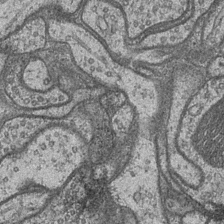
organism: Drosophila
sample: Optic medulla